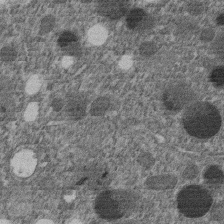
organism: C. elegans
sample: C. elegans embryo early stage